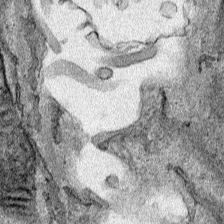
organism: Human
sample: Mitochondria in HCT116 cells